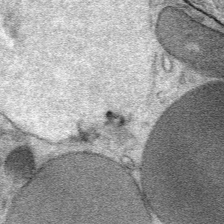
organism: Mouse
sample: Mouse Salivary gland